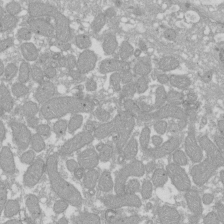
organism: Xenopus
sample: Cilia; centrioles in frog embryo cells